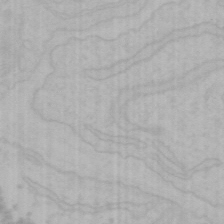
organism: Mouse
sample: Choroid plexus